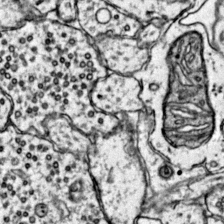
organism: Mouse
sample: Primary visual cortex